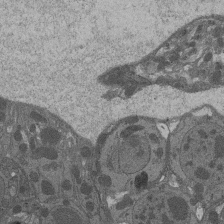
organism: Drosophila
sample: Antenna